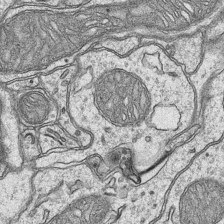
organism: Mouse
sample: CA1 Hippocampus